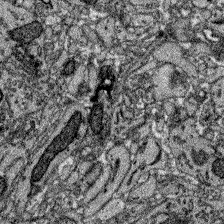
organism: Zebrafish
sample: Larval olfactory bulb